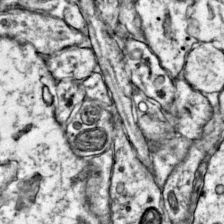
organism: Mouse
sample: Primary visual cortex